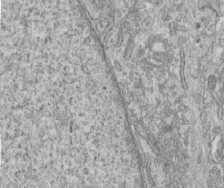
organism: Human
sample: Centriole in fibroblast cells